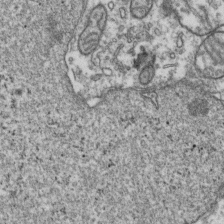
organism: Human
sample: Activated Jurkat CD4+ T cells